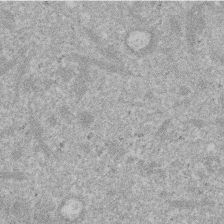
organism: Mouse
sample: Dividing mouse embryo 1 cell stage